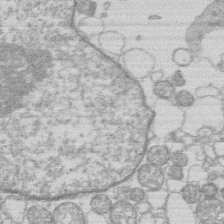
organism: Human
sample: Macrophage cells